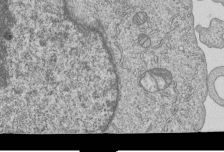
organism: Human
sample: MDA-MB-231 cells